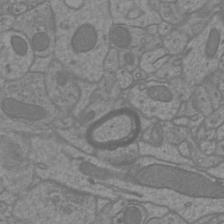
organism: Mouse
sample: Cortical neurons